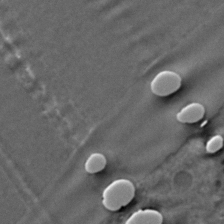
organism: C. elegans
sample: C. elegans embryo